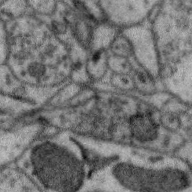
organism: Zebra finch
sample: Brain